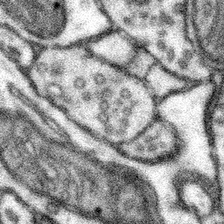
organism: Mouse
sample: Somatosensory cortex neuropil